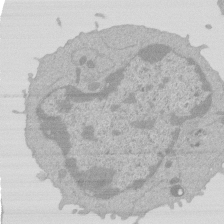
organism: Mouse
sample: Activated Pmel transgenic CD8+ T Cells